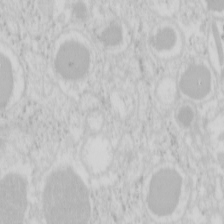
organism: Mouse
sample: Pancreas